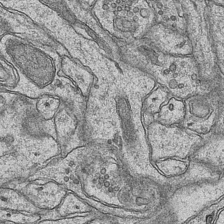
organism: Mouse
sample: CA1 Hippocampus